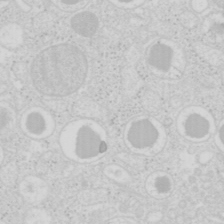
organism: Mouse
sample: Pancreas